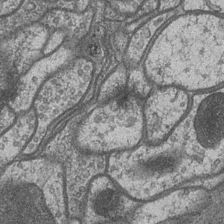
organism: Drosophila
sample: Optic medulla